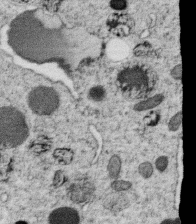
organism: C. elegans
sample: C. elegans oocyte; sperm cells